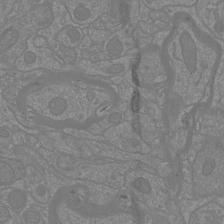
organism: Mouse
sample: Cortical neurons